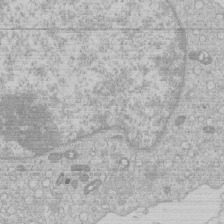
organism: Human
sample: Macrophage cells